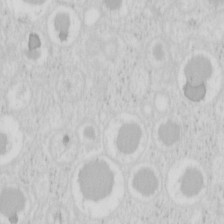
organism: Mouse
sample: Pancreas